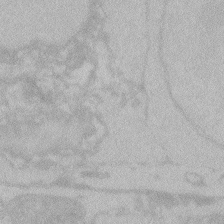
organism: Zebrafish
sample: Macrophage infected with Toxoplasma gondii